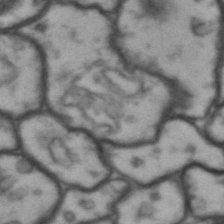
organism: Drosophila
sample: Brain